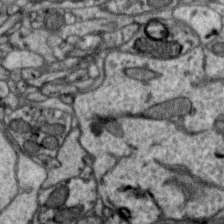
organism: Zebra finch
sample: Brain